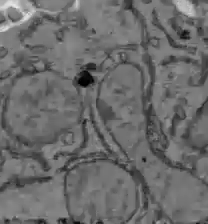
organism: C57BL Mouse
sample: Liver